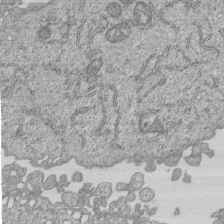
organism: Human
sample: MDA-MB-231 cells